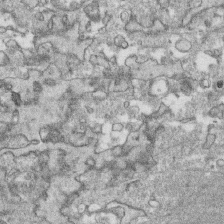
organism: Human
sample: CRL-1474